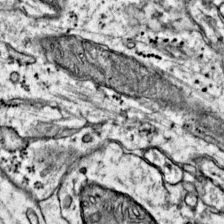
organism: Mouse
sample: Primary visual cortex